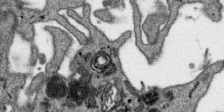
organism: Human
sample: Lung epithelial cells, uninfected (mock) control